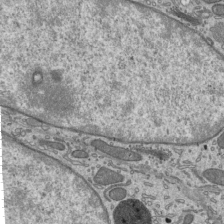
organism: Mouse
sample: Mouse epididymis efferent ductule cilia